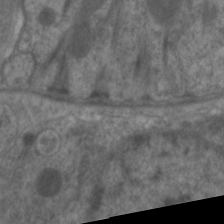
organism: C. elegans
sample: Pharynx